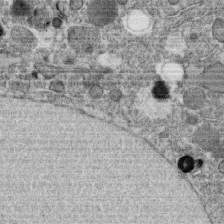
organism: C. elegans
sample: C. elegans oocyte; sperm cells